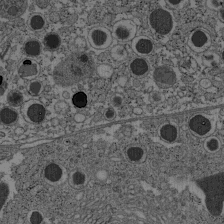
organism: C57BL Mouse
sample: Pancreatic islet